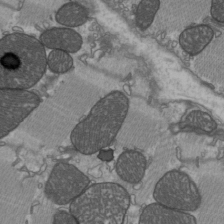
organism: C57BL Mouse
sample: Heart